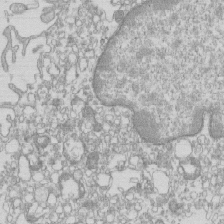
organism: Mouse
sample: Macrophages